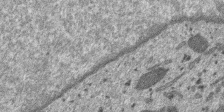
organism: Human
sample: Lung epithelial cells infected with SARS-CoV-2